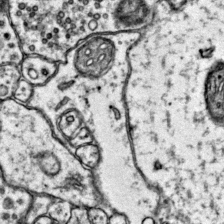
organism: Mouse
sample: Primary visual cortex